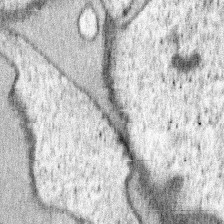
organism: Human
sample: HeLa cells